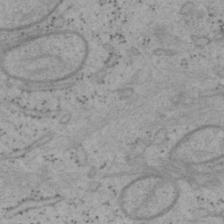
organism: Human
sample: HeLa cells